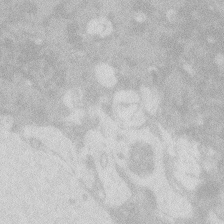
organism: Zebrafish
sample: Macrophage